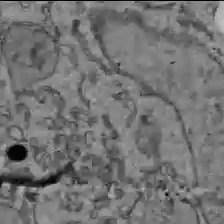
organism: C57BL Mouse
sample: Liver